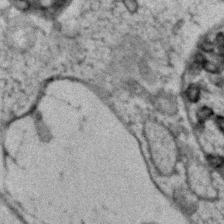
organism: Human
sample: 1205lu cells